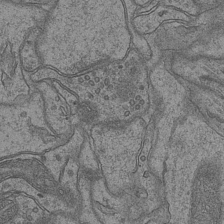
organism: Mouse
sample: CA1 Hippocampus